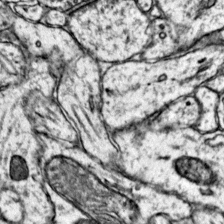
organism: Mouse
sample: Primary visual cortex